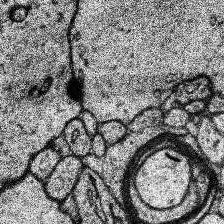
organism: Human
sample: Temporal Lobe